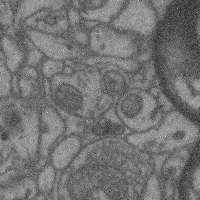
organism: Mouse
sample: Cerebral cortex